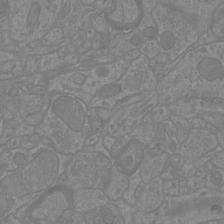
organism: Mouse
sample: Cortical neurons